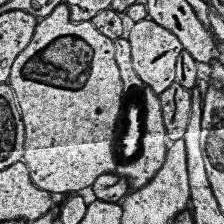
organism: Human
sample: Temporal Lobe